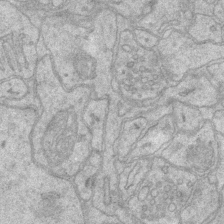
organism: Mouse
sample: CA1 Hippocampus